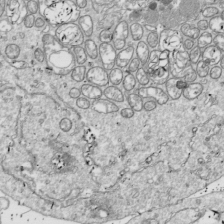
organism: Drosophila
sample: Cell division; meiosis; drosophila spermatocytes